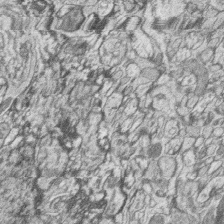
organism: Zebrafish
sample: synaptic ribbons in rod cells and cone cells